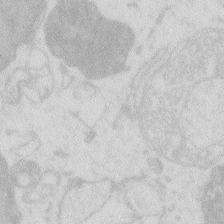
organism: Zebrafish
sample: Macrophage